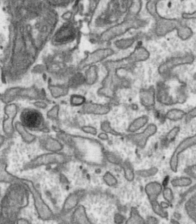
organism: Toxoplasma gondii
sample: Parasites in a vacuole inside a host cell